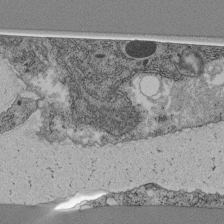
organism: C. elegans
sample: C. elegans pharynx